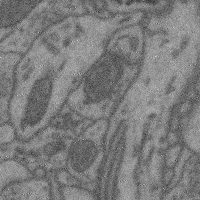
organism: Mouse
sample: Cerebral cortex